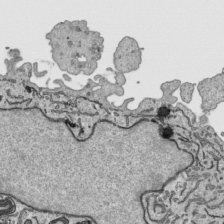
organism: Human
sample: Mitochondria in HCT116 cells